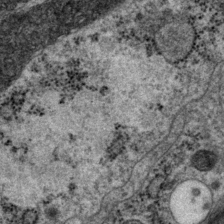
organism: P. pacificus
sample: Pharynx